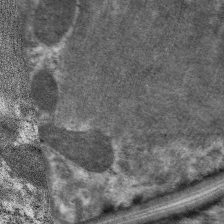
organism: C. elegans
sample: Pharynx